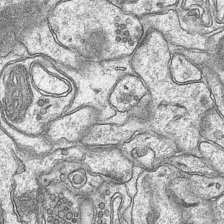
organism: Mouse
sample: CA1 Hippocampus